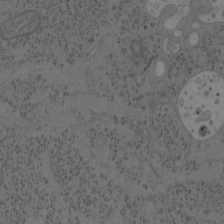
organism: Mouse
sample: OT-I killer T cells with ID8 ovarian cancer cells